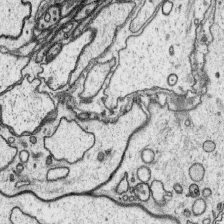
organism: Platynereis dumerilii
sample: Parapodia